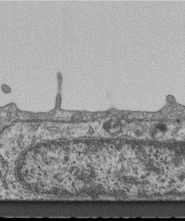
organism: Mouse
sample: Centriole in ependymal cells